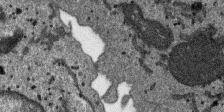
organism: Human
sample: Lung epithelial cells infected with SARS-CoV-2